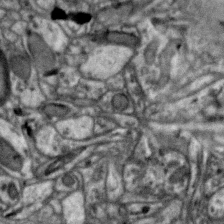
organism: Zebra finch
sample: Brain